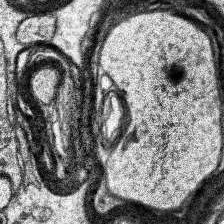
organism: Human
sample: Temporal Lobe